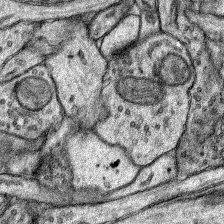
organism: Rat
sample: Hippocampus